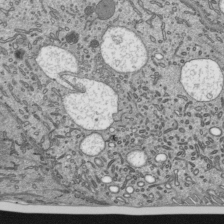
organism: Mouse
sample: Mouse epididymis efferent ductule cilia